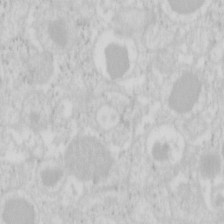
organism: Mouse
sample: Pancreas